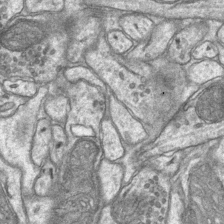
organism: Mouse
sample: CA1 Hippocampus